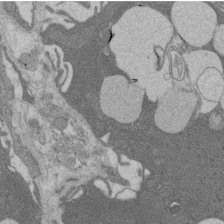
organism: Rat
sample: Salivary granule